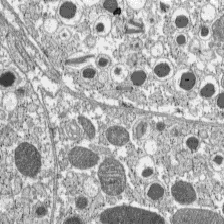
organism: C57BL Mouse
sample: Pancreatic islet